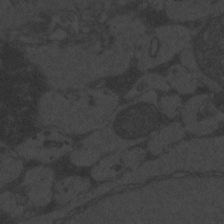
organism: Zebrafish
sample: Macrophage infected with Toxoplasma gondii